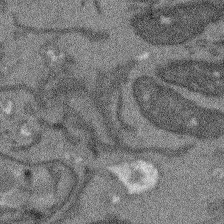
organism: Arabidopsis thaliana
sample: Root tip